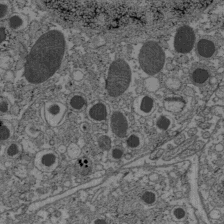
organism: C57BL Mouse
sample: Pancreatic islet